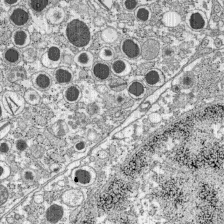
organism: C57BL Mouse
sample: Pancreatic islet